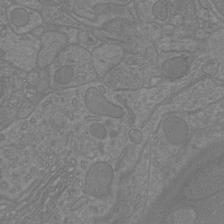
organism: Mouse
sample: Cortical neurons